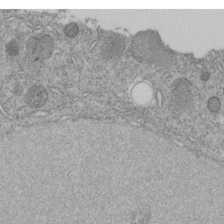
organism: C. elegans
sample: C. elegans embryo early stage